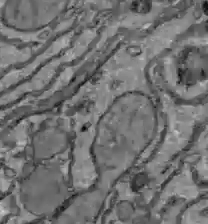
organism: C57BL Mouse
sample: Liver